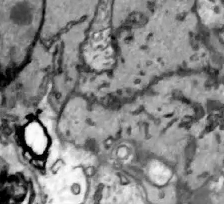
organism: Zebrafish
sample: Actinotrichia fibers